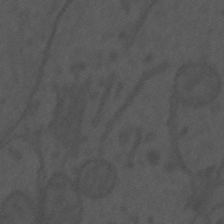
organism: Mouse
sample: Suprachiasmatic nucleus